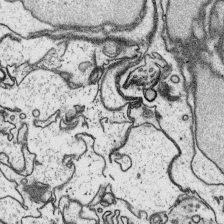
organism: Platynereis dumerilii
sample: Parapodia